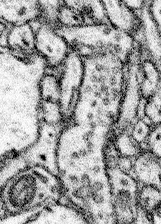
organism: Mouse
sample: Somatosensory cortex neuropil